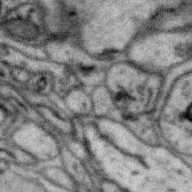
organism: Zebra finch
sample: Brain